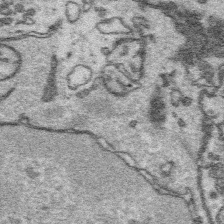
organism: Platynereis dumerilii